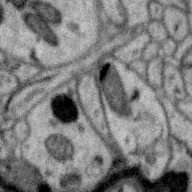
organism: Zebra finch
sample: Brain